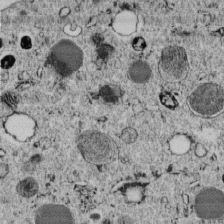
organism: C. elegans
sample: C. elegans embryo early stage